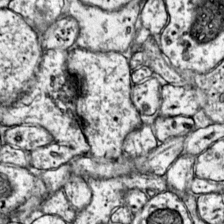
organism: Mouse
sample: Primary visual cortex